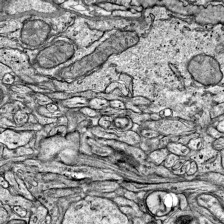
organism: Mouse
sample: Visual Cortex